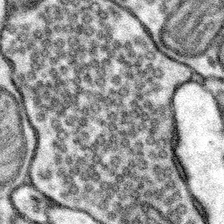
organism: Mouse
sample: Somatosensory cortex neuropil